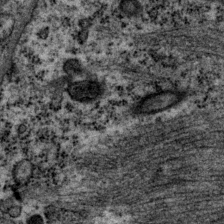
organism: P. pacificus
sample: Pharynx